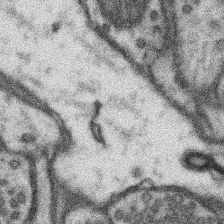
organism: Mouse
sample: Somatosensory cortex neuropil